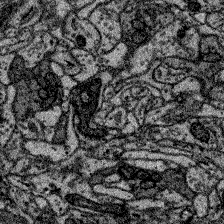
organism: Zebrafish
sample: Larval olfactory bulb